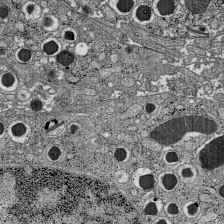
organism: C57BL Mouse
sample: Pancreatic islet